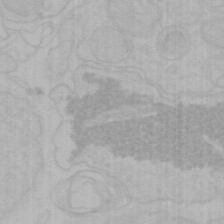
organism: Mouse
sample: Choroid plexus